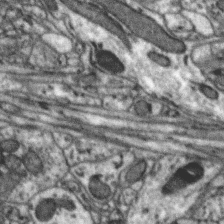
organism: Zebra finch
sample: Brain